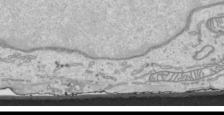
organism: Human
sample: Mitochondria in HCT116 cells